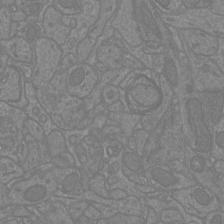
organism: Mouse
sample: Cortical neurons